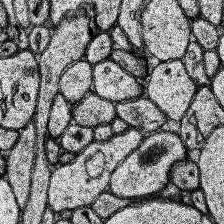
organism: Human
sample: Temporal Lobe